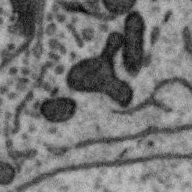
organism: Zebra finch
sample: Brain